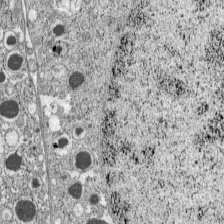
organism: C57BL Mouse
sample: Pancreatic islet